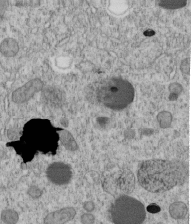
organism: C. elegans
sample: C. elegans embryo early stage